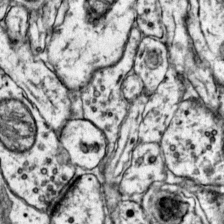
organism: Mouse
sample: Primary visual cortex